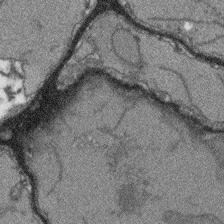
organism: Arabidopsis thaliana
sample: Root tip